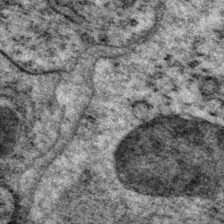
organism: P. pacificus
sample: Pharynx